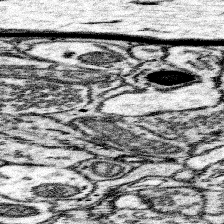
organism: Mouse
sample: Somatosensory cortex neuropil